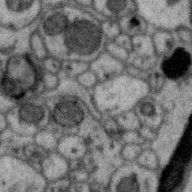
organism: Zebra finch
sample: Brain